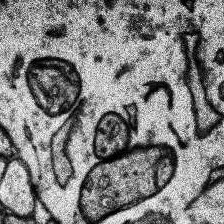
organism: Human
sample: Temporal Lobe